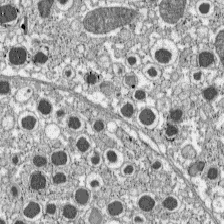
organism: C57BL Mouse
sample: Pancreatic islet